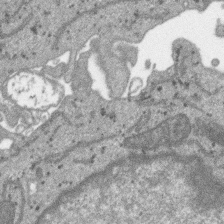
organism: Human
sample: Lung epithelial cells infected with SARS-CoV-2